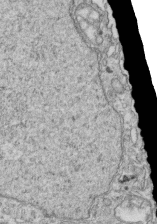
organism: Human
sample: HeLa cell HIV synapse